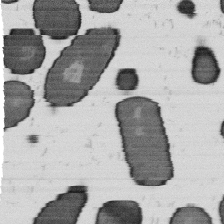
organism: B. subtilis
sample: Bacterial spore